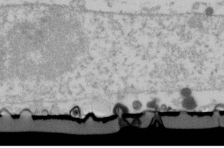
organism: Human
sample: U2-OS cells